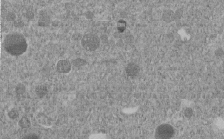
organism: C. elegans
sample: C. elegans embryo early stage